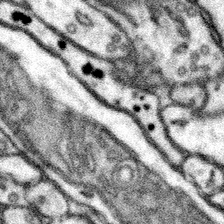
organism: Mouse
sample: Somatosensory cortex neuropil